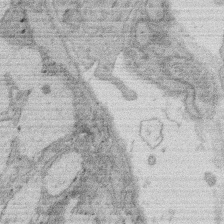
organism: Rat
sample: Salivary granule